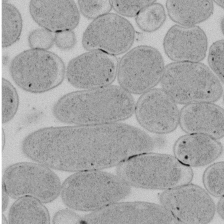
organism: E. coli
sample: Bacterial nucleoid